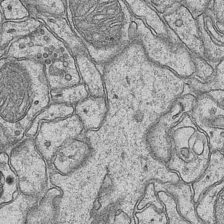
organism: Mouse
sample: CA1 Hippocampus